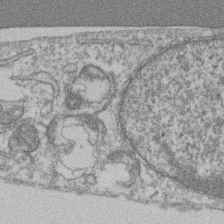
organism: Mouse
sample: T cell stromal cell synapse